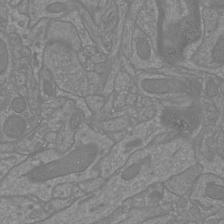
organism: Mouse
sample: Cortical neurons